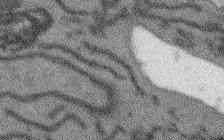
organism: Arabidopsis thaliana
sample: Root tip